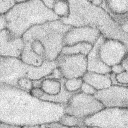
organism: Rabbit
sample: Retina